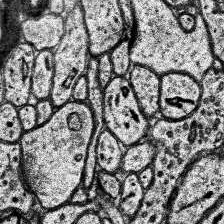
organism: Human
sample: Temporal Lobe